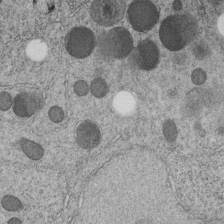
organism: C. elegans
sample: C. elegans embryo early stage